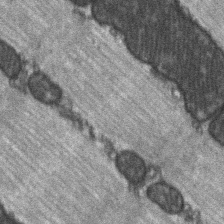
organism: C57BL Mouse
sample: Soleus